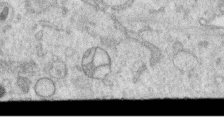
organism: Human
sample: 1205lu cells